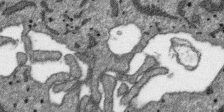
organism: Human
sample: Lung epithelial cells, uninfected (mock) control